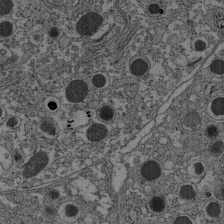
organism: C57BL Mouse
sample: Pancreatic islet